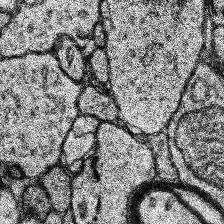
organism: Human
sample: Temporal Lobe